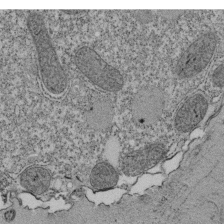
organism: Tetrahymena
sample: Cilia in tetrahymena